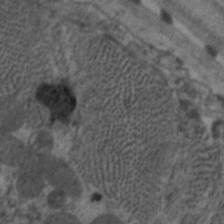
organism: C. elegans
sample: Pharynx